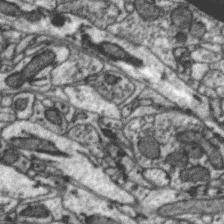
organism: Zebra finch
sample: Brain